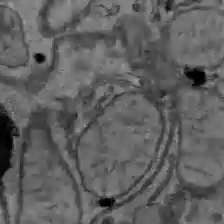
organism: C57BL Mouse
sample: Liver